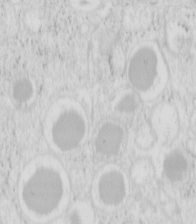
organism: Mouse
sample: Pancreas